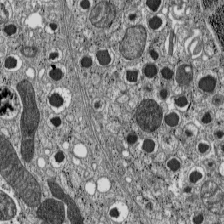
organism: C57BL Mouse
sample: Pancreatic islet